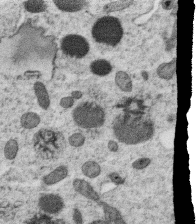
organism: C. elegans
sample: C. elegans oocyte; sperm cells